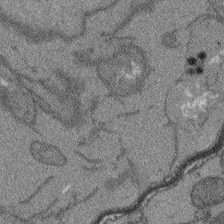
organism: Arabidopsis thaliana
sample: Root tip